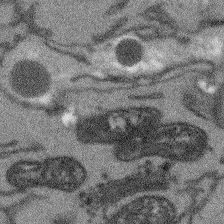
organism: Arabidopsis thaliana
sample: Root tip